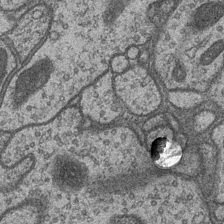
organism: Drosophila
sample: Optic medulla